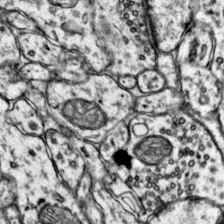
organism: Mouse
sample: Primary visual cortex